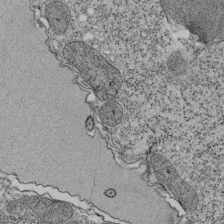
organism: Tetrahymena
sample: Cilia in tetrahymena